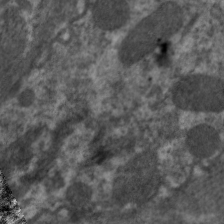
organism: C. elegans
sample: Pharynx